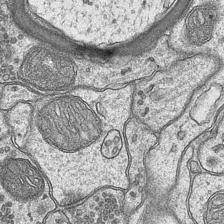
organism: Mouse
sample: CA1 Hippocampus